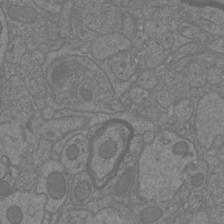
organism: Mouse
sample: Cortical neurons